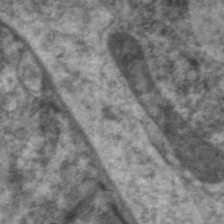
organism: C. elegans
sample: Pharynx